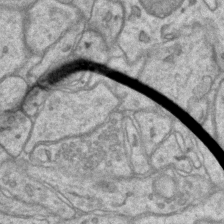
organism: Mouse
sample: CA1 Hippocampus